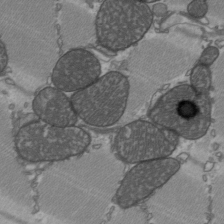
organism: C57BL Mouse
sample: Heart